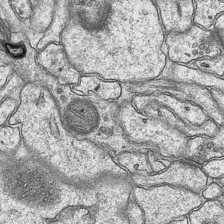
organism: Mouse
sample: CA1 Hippocampus